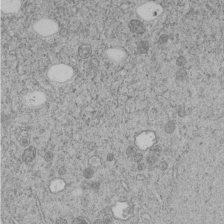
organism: C. elegans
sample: C. elegans embryo early stage